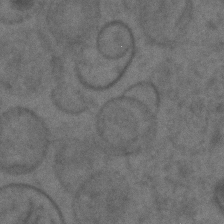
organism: C. elegans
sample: C. elegans embryo